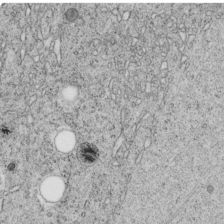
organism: C. elegans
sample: C. elegans embryo early stage